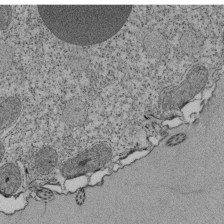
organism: Tetrahymena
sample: Cilia in tetrahymena